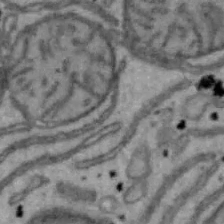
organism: Mouse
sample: Liver